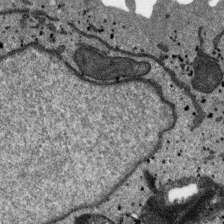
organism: Human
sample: Lung epithelial cells, uninfected (mock) control